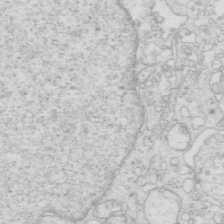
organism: Mouse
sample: Multiciliated cells